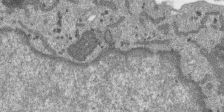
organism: Human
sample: Lung epithelial cells infected with SARS-CoV-2